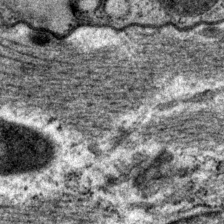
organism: P. pacificus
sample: Pharynx